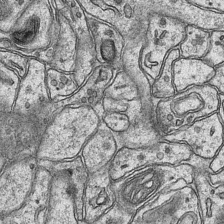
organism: Mouse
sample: CA1 Hippocampus